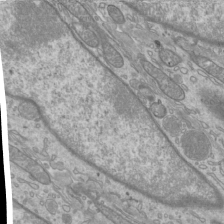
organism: Mouse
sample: Cilia; mouse epididymis